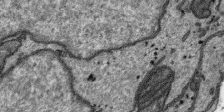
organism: Human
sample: Lung epithelial cells, uninfected (mock) control